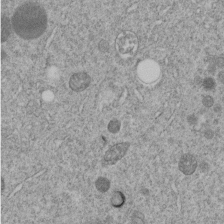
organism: C. elegans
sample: C. elegans embryo early stage